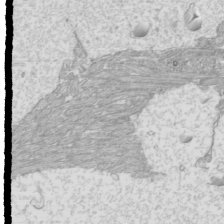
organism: Mouse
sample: Cilia; mouse epididymis